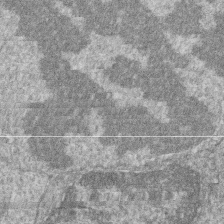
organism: Zebrafish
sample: Cilia; retinal pigment epithelium